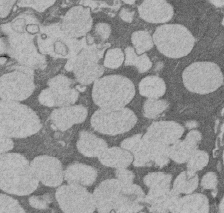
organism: Rat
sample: Salivary granule